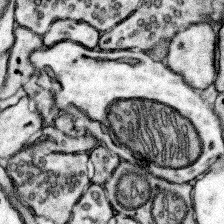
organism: Mouse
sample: Somatosensory cortex neuropil